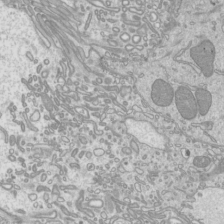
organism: Mouse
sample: Cilia; mouse epididymis